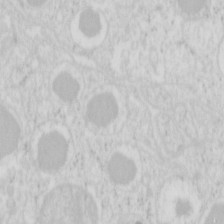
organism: Mouse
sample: Pancreas